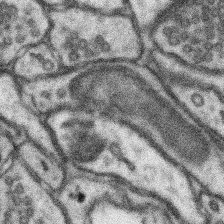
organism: Mouse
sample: Somatosensory cortex neuropil